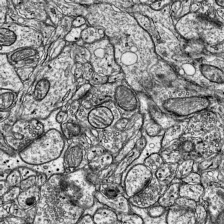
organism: Mouse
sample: Visual Cortex